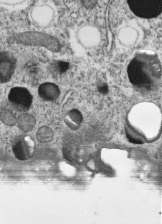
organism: C. elegans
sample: C. elegans embryo early stage